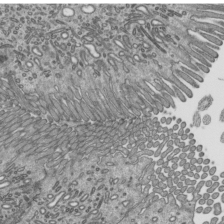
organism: Mouse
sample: Mouse epididymis efferent ductule cilia